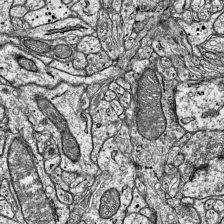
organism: Mouse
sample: Visual Cortex